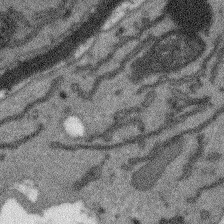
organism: Arabidopsis thaliana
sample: Root tip